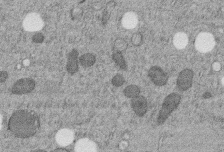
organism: C. elegans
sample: C. elegans embryo early stage